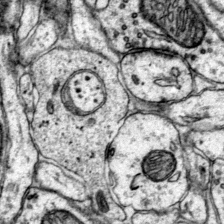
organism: Mouse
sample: Primary visual cortex